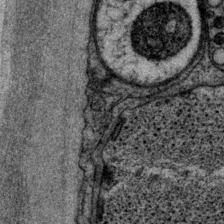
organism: P. pacificus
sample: Pharynx